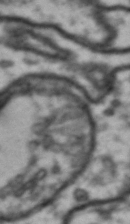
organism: Drosophila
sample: Brain